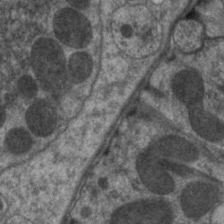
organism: C. elegans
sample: Pharynx